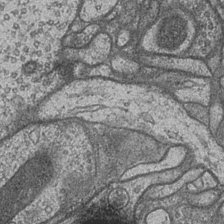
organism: Drosophila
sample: Optic medulla